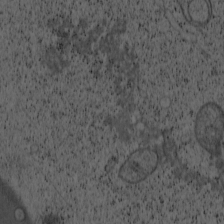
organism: African green monkey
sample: COS-7 cells